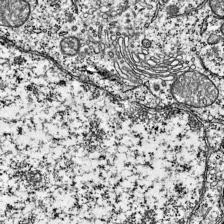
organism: Mouse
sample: Visual Cortex